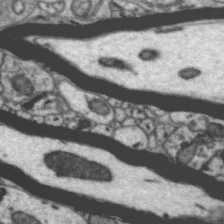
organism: Zebra finch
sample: Brain